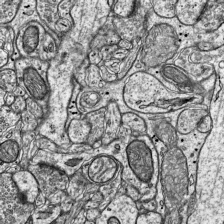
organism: Mouse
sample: Visual Cortex